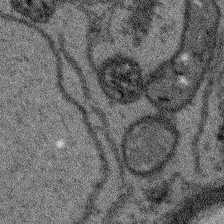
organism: Arabidopsis thaliana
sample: Root tip